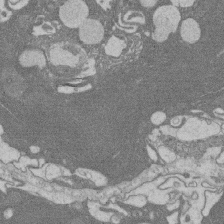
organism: Rat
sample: Salivary granule